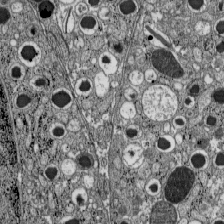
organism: C57BL Mouse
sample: Pancreatic islet